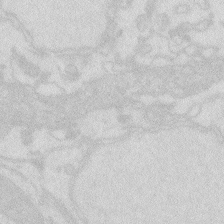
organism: Zebrafish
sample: Macrophage